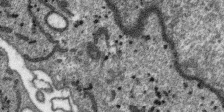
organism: Human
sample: Lung epithelial cells infected with SARS-CoV-2